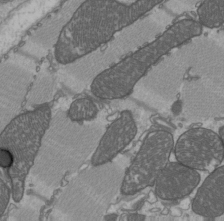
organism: C57BL Mouse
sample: Heart